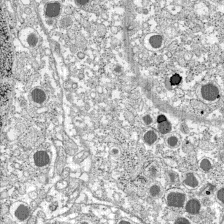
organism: C57BL Mouse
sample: Pancreatic islet